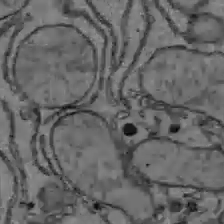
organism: C57BL Mouse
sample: Liver